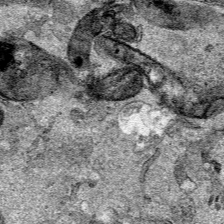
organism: Human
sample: Mitochondria in HCT116 cells